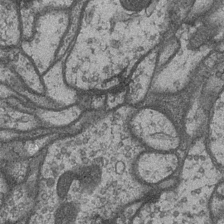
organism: Drosophila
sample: Optic medulla